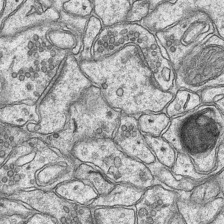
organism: Mouse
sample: CA1 Hippocampus